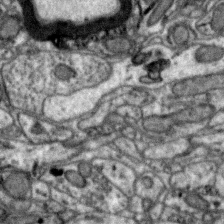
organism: Zebra finch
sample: Brain